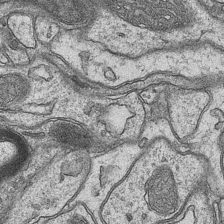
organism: Mouse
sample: CA1 Hippocampus